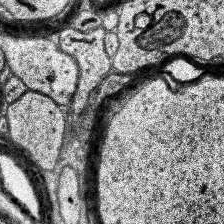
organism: Human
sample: Temporal Lobe